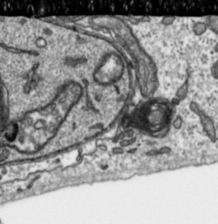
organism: Toxoplasma gondii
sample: Parasites in a vacuole inside a host cell